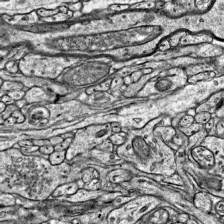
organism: Mouse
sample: Visual Cortex